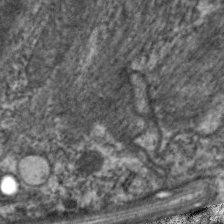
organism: C. elegans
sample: Pharynx